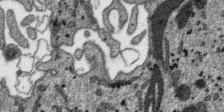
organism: Human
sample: Lung epithelial cells infected with SARS-CoV-2